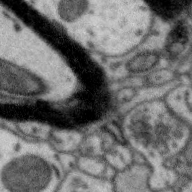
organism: Zebra finch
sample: Brain